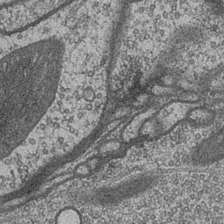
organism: Drosophila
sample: Optic medulla